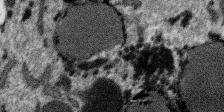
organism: Human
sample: Lung epithelial cells infected with SARS-CoV-2